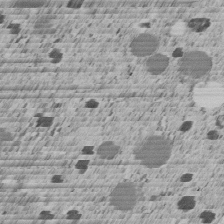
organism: C. elegans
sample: C. elegans embryo early stage